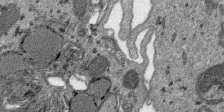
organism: Human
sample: Lung epithelial cells infected with SARS-CoV-2